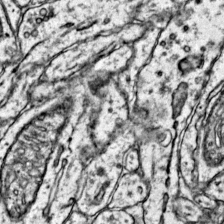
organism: Mouse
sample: Primary visual cortex